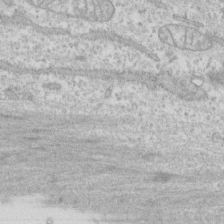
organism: Human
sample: CRL-1474